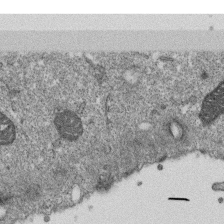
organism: African green monkey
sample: Vero E6 cells infected with SARS-CoV-2